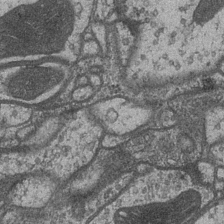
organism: Drosophila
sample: Optic medulla